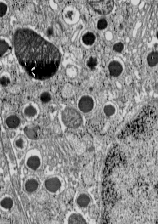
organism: C57BL Mouse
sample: Pancreatic islet